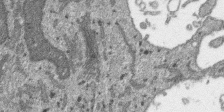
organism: Human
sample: Lung epithelial cells infected with SARS-CoV-2